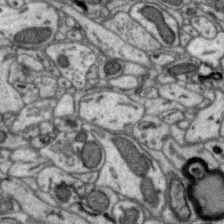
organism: Zebra finch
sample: Brain